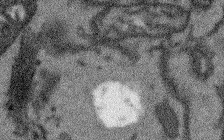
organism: Arabidopsis thaliana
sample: Root tip